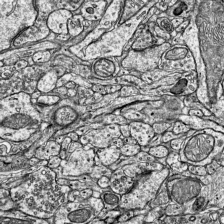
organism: Mouse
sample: Visual Cortex